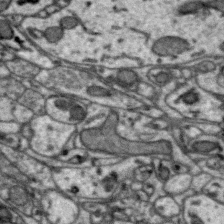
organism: Zebra finch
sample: Brain